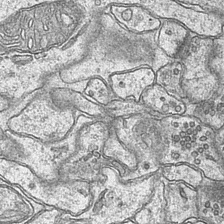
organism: Mouse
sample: CA1 Hippocampus